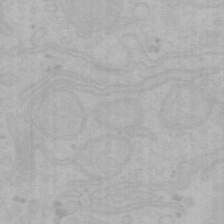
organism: Mouse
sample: Choroid plexus